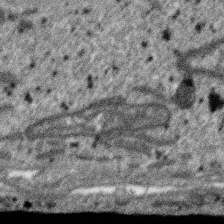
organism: Human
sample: Lung epithelial cells infected with SARS-CoV-2